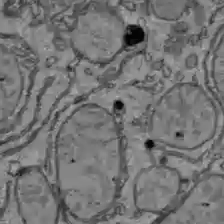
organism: C57BL Mouse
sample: Liver